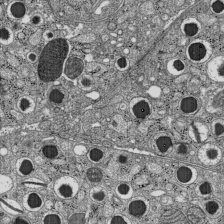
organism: C57BL Mouse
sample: Pancreatic islet